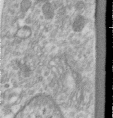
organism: Human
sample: Centriole in RPE cells